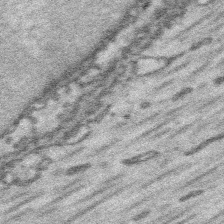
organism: Platynereis dumerilii